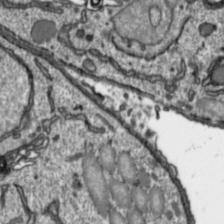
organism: Toxoplasma gondii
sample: Parasites in a vacuole inside a host cell